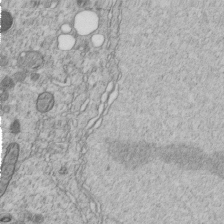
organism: C. elegans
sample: C. elegans embryo early stage